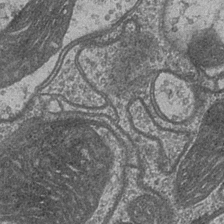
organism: Drosophila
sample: Optic medulla